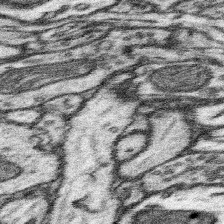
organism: Mouse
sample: Somatosensory cortex neuropil